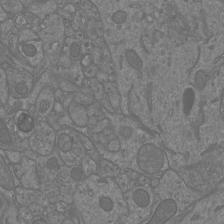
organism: Mouse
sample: Cortical neurons